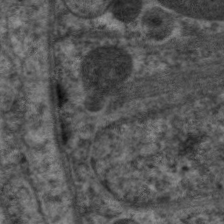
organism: C. elegans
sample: Pharynx